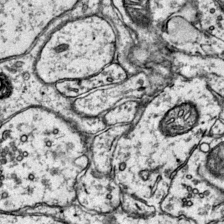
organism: Mouse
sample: Primary visual cortex